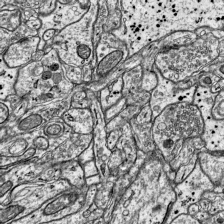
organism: Mouse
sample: Visual Cortex